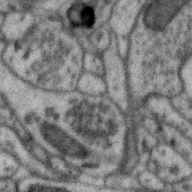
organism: Zebra finch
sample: Brain